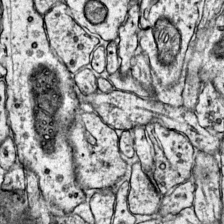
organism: Mouse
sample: Primary visual cortex